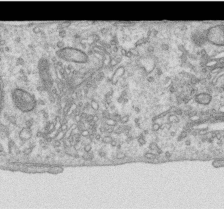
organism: Human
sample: Centriole in RPE cells